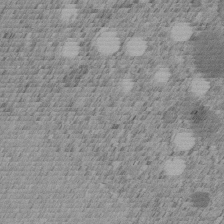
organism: C. elegans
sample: C. elegans embryo early stage